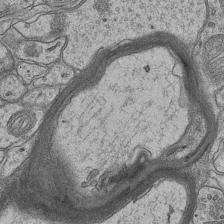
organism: Mouse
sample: CA1 Hippocampus